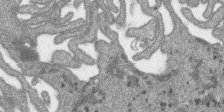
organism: Human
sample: Lung epithelial cells infected with SARS-CoV-2